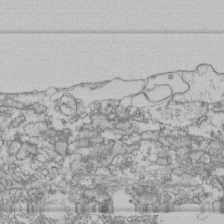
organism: Human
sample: Fibroblast cells